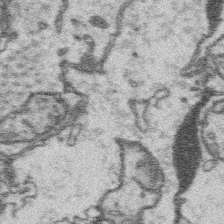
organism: Platynereis dumerilii